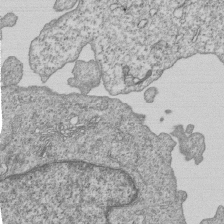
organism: Human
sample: MDA-MB-231 cells